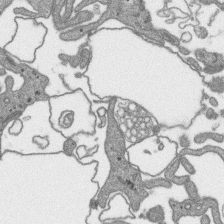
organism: Human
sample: Lung epithelial cells infected with SARS-CoV-2